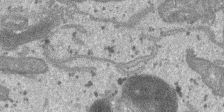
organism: Human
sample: Lung epithelial cells infected with SARS-CoV-2